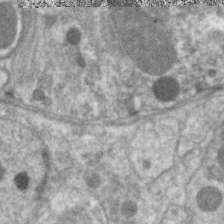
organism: C. elegans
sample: Pharynx